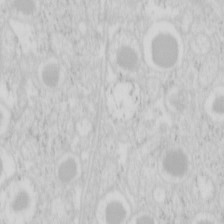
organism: Mouse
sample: Pancreas